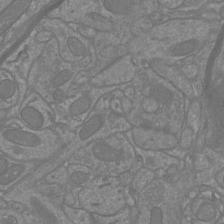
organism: Mouse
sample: Cortical neurons